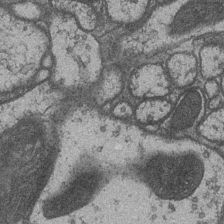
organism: Drosophila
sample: Optic medulla